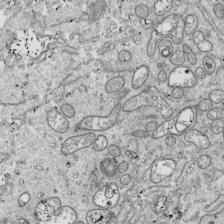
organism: Drosophila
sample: Cell division; meiosis; drosophila spermatocytes